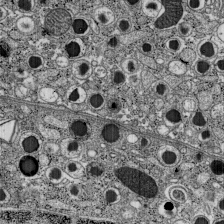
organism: C57BL Mouse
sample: Pancreatic islet